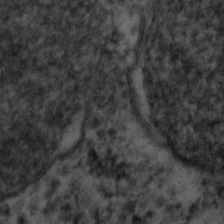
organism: C. elegans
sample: C. elegans embryo